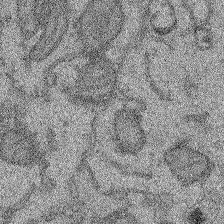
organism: Human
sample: HeLa cells